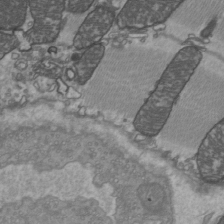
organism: C57BL Mouse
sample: Heart